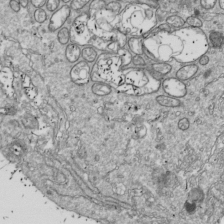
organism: Drosophila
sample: Cell division; meiosis; drosophila spermatocytes